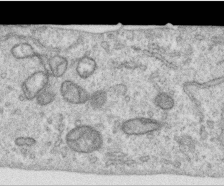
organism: Human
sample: Centriole in RPE cells